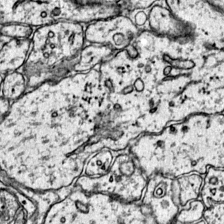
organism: Mouse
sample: Primary visual cortex